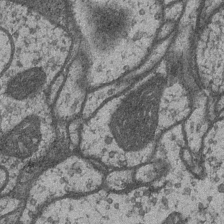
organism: Drosophila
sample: Optic medulla